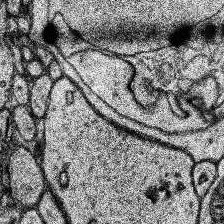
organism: Human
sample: Temporal Lobe